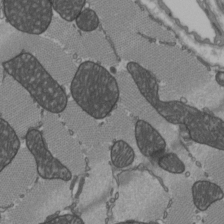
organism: C57BL Mouse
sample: Heart